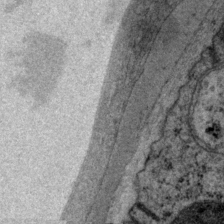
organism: P. pacificus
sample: Pharynx